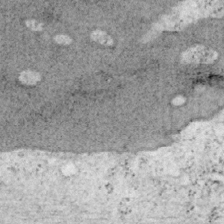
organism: Mouse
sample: OT-I killer T cells with ID8 ovarian cancer cells